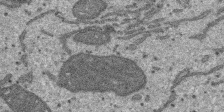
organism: Human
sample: Lung epithelial cells infected with SARS-CoV-2